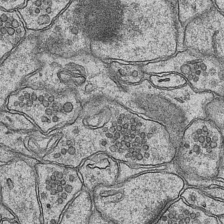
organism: Mouse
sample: CA1 Hippocampus